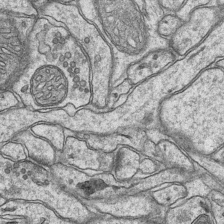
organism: Mouse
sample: CA1 Hippocampus